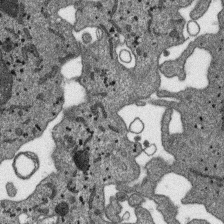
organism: Human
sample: Lung epithelial cells infected with SARS-CoV-2